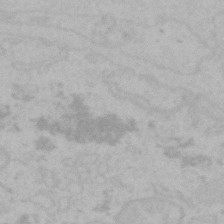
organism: Mouse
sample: Choroid plexus